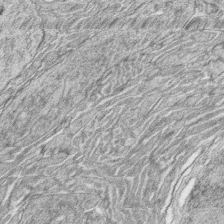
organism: Zebrafish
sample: synaptic ribbons in rod cells and cone cells